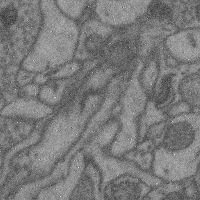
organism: Mouse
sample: Cerebral cortex